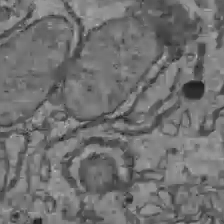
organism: C57BL Mouse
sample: Liver